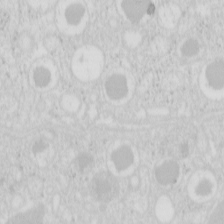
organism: Mouse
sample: Pancreas